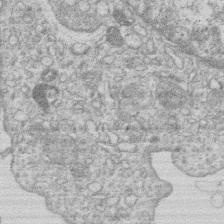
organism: Human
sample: Macrophage cells